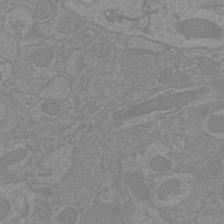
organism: Mouse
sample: Cortical neurons